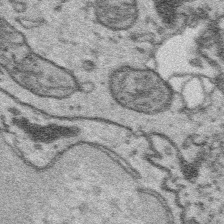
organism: Platynereis dumerilii